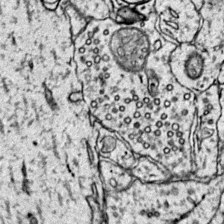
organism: Mouse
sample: Primary visual cortex